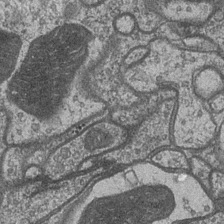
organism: Drosophila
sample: Optic medulla